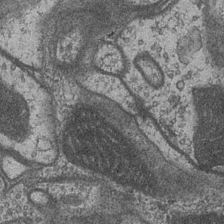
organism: Drosophila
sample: Optic medulla